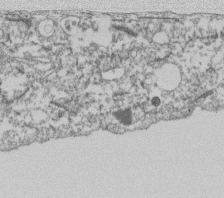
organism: Dictyostelium discoideum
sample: Dictyostelium multivesicular bodies